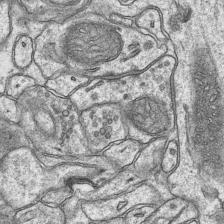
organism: Mouse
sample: CA1 Hippocampus